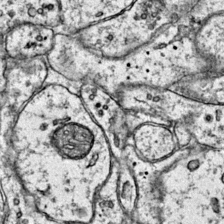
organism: Mouse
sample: Primary visual cortex